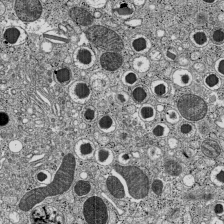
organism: C57BL Mouse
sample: Pancreatic islet